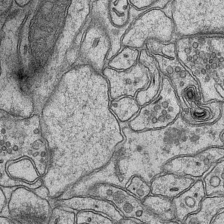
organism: Mouse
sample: CA1 Hippocampus